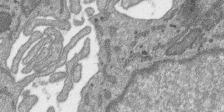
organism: Human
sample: Lung epithelial cells infected with SARS-CoV-2